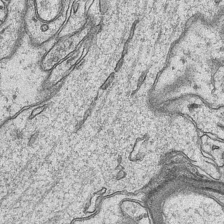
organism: Mouse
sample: CA1 Hippocampus